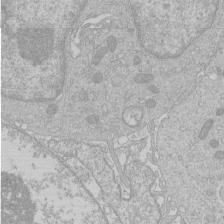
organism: Human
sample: Macrophage cells